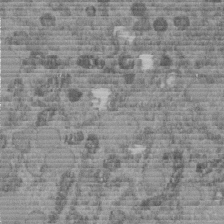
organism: C. elegans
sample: C. elegans embryo early stage